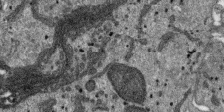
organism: Human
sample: Lung epithelial cells, uninfected (mock) control